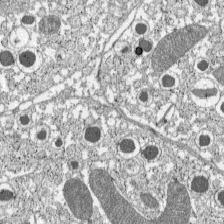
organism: C57BL Mouse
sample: Pancreatic islet